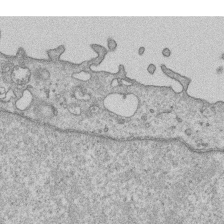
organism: Human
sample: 1205lu cells